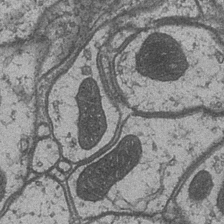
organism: Drosophila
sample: Optic medulla